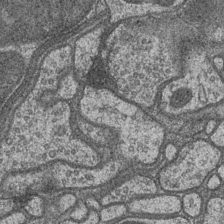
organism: Drosophila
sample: Optic medulla